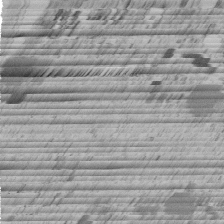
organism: C. elegans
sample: C. elegans embryo early stage